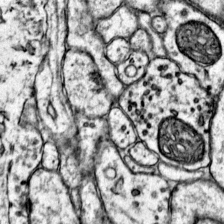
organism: Mouse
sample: Primary visual cortex